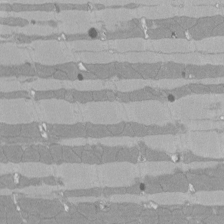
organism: Rat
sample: Left ventricle